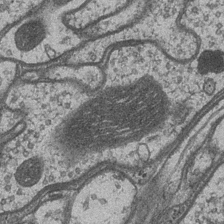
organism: Drosophila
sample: Optic medulla